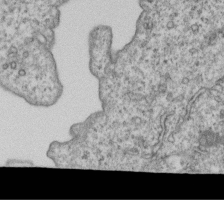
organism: Human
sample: MDA-MB-231 cells